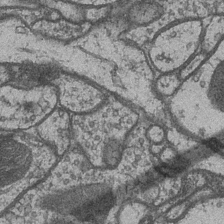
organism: Drosophila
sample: Optic medulla